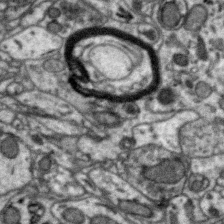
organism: Zebra finch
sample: Brain